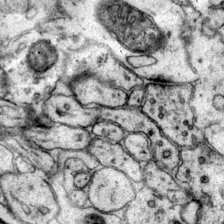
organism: Mouse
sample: Primary visual cortex